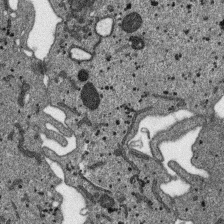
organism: Human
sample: Lung epithelial cells infected with SARS-CoV-2